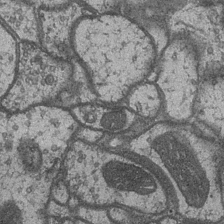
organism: Drosophila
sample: Optic medulla